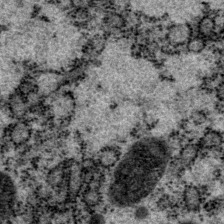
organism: P. pacificus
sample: Pharynx